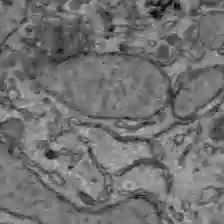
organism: C57BL Mouse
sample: Liver